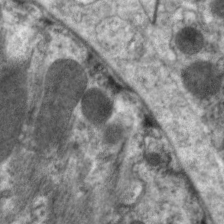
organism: C. elegans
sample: Pharynx